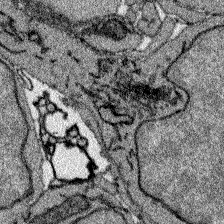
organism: Zebrafish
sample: Larval olfactory bulb